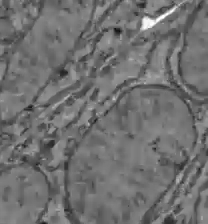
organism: C57BL Mouse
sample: Liver